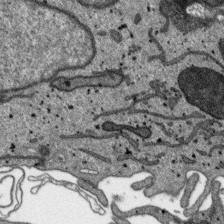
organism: Human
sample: Lung epithelial cells, uninfected (mock) control